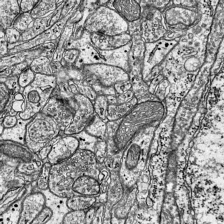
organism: Mouse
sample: Visual Cortex